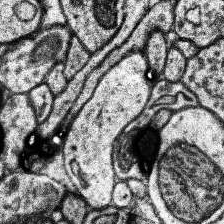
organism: Human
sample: Temporal Lobe